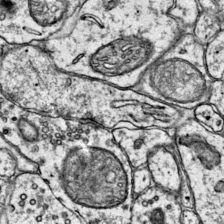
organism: Mouse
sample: Primary visual cortex